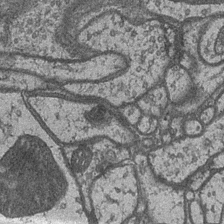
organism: Drosophila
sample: Optic medulla